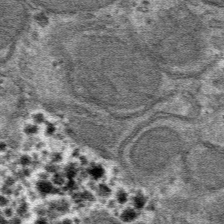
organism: Mouse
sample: Mouse hepatocytes